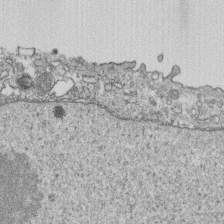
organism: Human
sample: HeLa cell HIV synapse